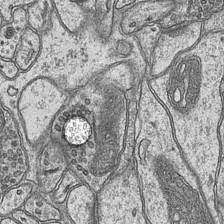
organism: Mouse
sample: CA1 Hippocampus